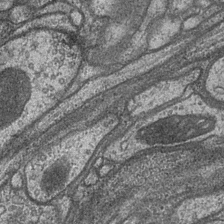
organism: Drosophila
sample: Optic medulla